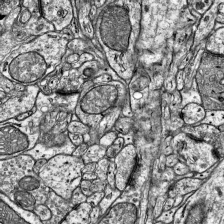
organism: Mouse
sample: Visual Cortex